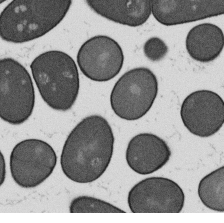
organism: B. subtilis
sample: Bacterial spore